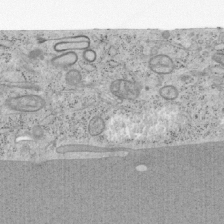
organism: Human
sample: HeLa cells